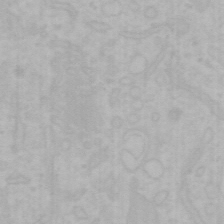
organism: Mouse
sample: Choroid plexus